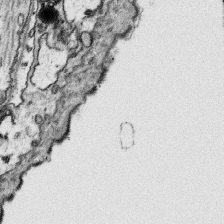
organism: Platynereis dumerilii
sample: Parapodia